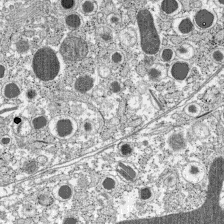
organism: C57BL Mouse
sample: Pancreatic islet